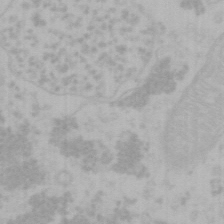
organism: Mouse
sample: Choroid plexus